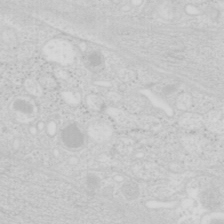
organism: Mouse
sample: Pancreas